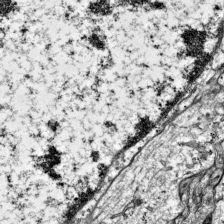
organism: Mouse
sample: Visual Cortex